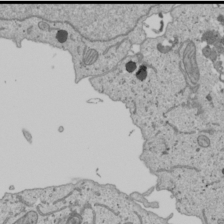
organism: Human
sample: Mitochondria in U2OS cells